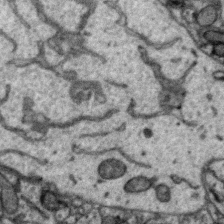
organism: Zebra finch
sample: Brain